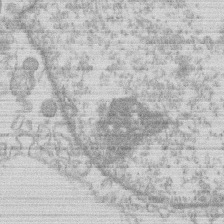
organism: Human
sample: Macrophage cells